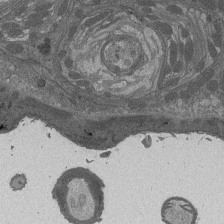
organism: Drosophila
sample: Antenna